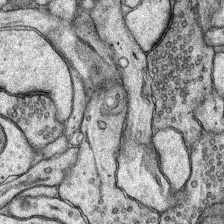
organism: Rat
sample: Hippocampus